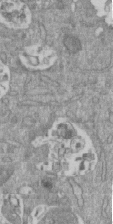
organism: Mouse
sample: ED-1 cell nuclei; centrioles